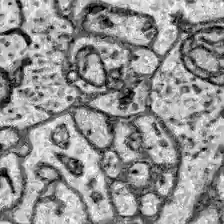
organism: Zebrafish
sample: Brain